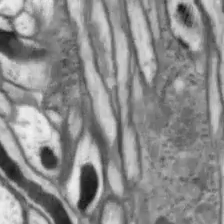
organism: Drosophila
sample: Optic lobe